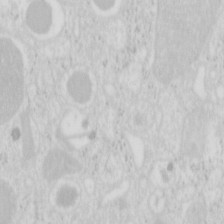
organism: Mouse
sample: Pancreas